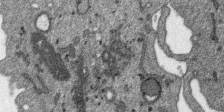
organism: Human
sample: Lung epithelial cells infected with SARS-CoV-2